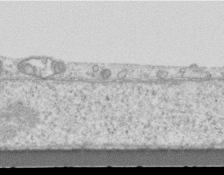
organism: Mouse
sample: Centriole in ependymal cells